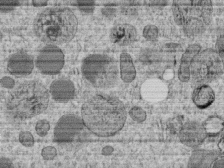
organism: C. elegans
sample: C. elegans embryo early stage